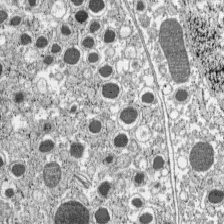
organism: C57BL Mouse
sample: Pancreatic islet